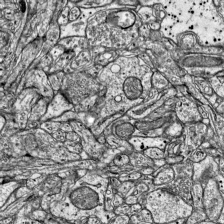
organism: Mouse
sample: Visual Cortex